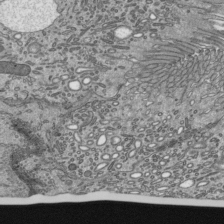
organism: Mouse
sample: Mouse epididymis efferent ductule cilia